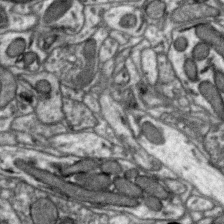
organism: Zebra finch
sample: Brain